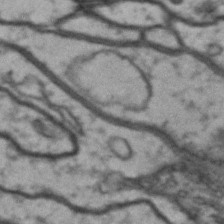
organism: Drosophila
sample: Brain